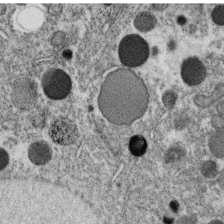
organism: C. elegans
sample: C. elegans oocyte; sperm cells